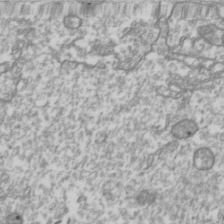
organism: Drosophila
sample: Cell division; meiosis; drosophila spermatocytes